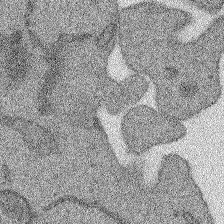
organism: Human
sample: HeLa cells